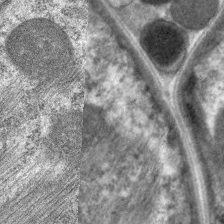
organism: C. elegans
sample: Pharynx